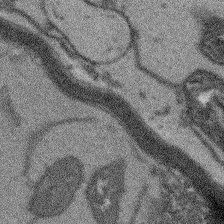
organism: Arabidopsis thaliana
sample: Root tip